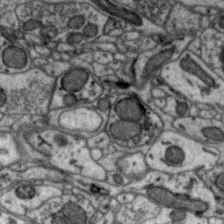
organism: Zebra finch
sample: Brain